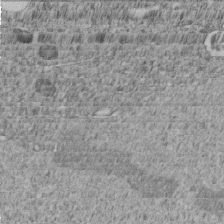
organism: C. elegans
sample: C. elegans embryo early stage